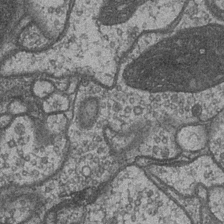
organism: Drosophila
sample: Optic medulla